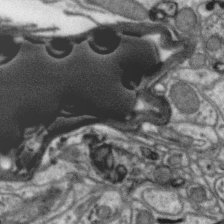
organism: Zebra finch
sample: Brain